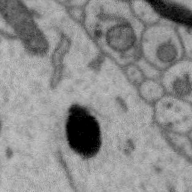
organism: Zebra finch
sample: Brain